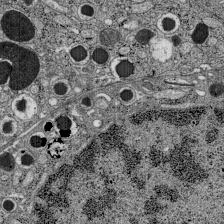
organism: C57BL Mouse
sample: Pancreatic islet